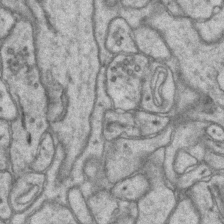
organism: Mouse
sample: CA1 Hippocampus